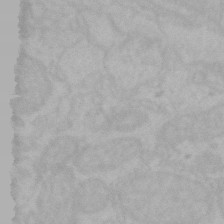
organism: Mouse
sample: Choroid plexus